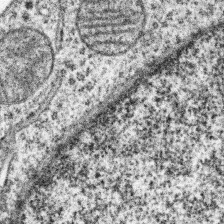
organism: Human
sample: HeLa cells